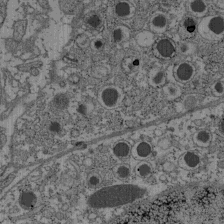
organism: C57BL Mouse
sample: Pancreatic islet